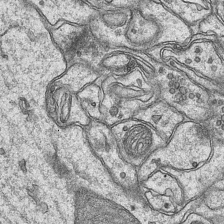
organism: Mouse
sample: CA1 Hippocampus